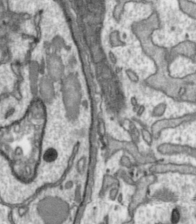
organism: Toxoplasma gondii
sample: Parasites in a vacuole inside a host cell